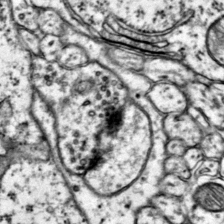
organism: Mouse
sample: Primary visual cortex